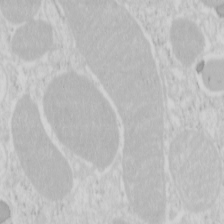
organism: Mouse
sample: Pancreas